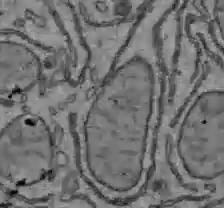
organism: C57BL Mouse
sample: Liver